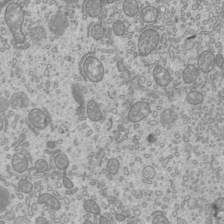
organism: Mouse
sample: Cilia; mouse epididymis